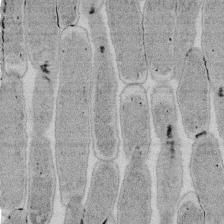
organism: E. coli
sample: Bacterial nucleoid